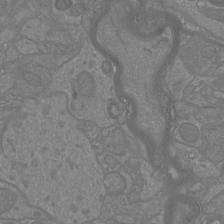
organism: Mouse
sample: Cortical neurons